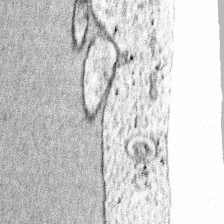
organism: Human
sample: HeLa cells